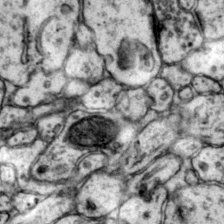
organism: Mouse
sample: Primary visual cortex